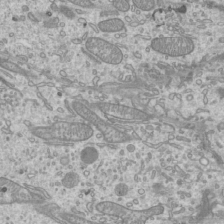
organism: Mouse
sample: Cilia; mouse epididymis